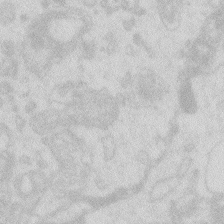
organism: Zebrafish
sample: Macrophage